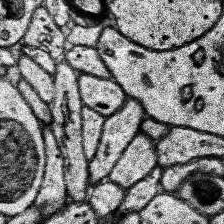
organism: Human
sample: Temporal Lobe